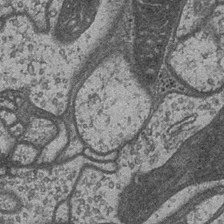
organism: Drosophila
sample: Optic medulla